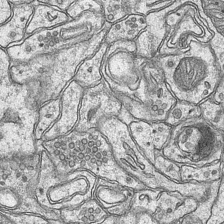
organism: Mouse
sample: CA1 Hippocampus